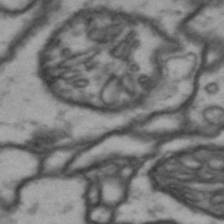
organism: Drosophila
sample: Brain